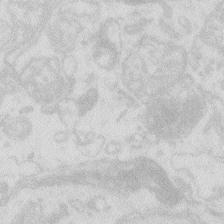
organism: Zebrafish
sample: Macrophage